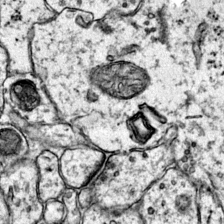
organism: Mouse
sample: Primary visual cortex